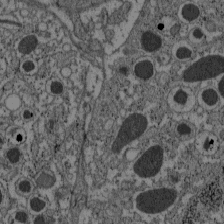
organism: C57BL Mouse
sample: Pancreatic islet